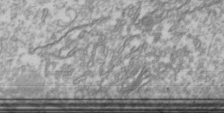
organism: Drosophila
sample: Cell division; meiosis; drosophila spermatocytes